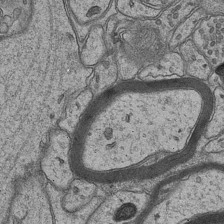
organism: Mouse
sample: CA1 Hippocampus